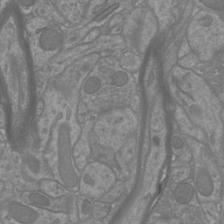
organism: Mouse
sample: Cortical neurons